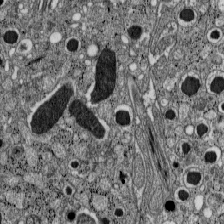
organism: C57BL Mouse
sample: Pancreatic islet